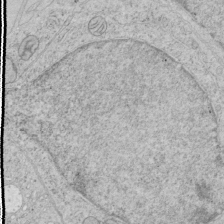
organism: Human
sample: Mitochondria in HCT116 cells